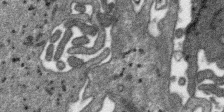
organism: Human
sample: Lung epithelial cells infected with SARS-CoV-2